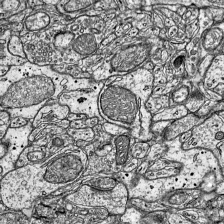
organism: Mouse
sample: Visual Cortex